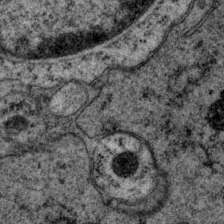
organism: P. pacificus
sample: Pharynx